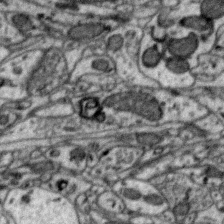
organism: Zebra finch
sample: Brain